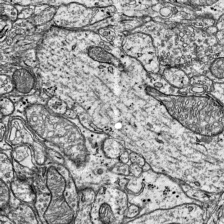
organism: Mouse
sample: Visual Cortex